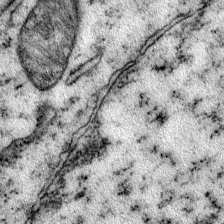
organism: Mouse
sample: Primary visual cortex